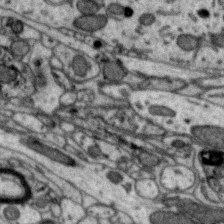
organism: Zebra finch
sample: Brain